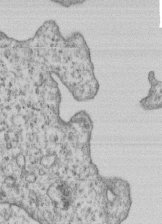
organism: Human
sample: MDA-MB-231 cells